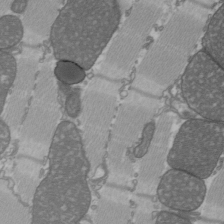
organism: C57BL Mouse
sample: Heart